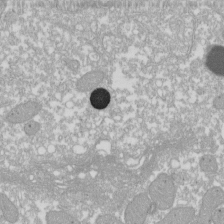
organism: Xenopus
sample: Cilia; centrioles in frog embryo cells